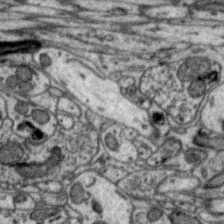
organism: Zebra finch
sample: Brain